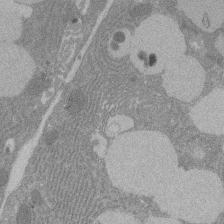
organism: Rat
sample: Salivary granule